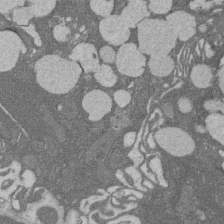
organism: Rat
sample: Salivary granule